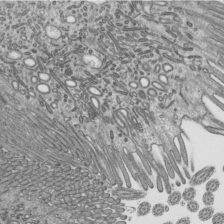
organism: Mouse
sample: Mouse epididymis efferent ductule cilia